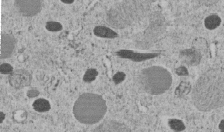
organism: C. elegans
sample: C. elegans embryo early stage